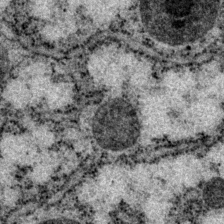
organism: P. pacificus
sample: Pharynx